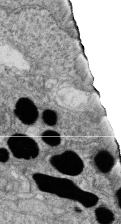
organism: Zebrafish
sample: Cilia; retinal pigment epithelium